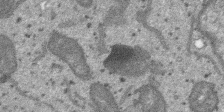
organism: Human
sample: Lung epithelial cells infected with SARS-CoV-2